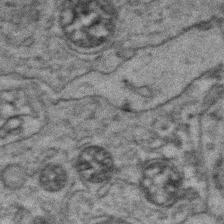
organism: Zebrafish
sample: Zebrafish embryo